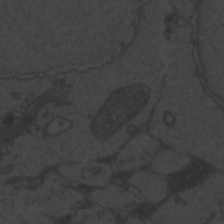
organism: Zebrafish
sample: Macrophage infected with Toxoplasma gondii